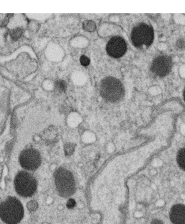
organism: C. elegans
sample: C. elegans oocyte; sperm cells